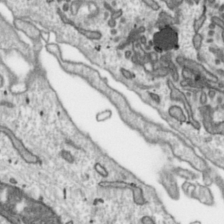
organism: Toxoplasma gondii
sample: Parasites in a vacuole inside a host cell